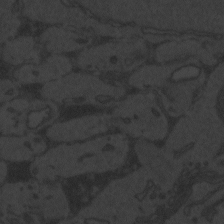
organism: Zebrafish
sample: Macrophage infected with Toxoplasma gondii